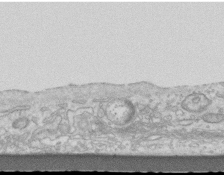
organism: Mouse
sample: Centriole in ependymal cells